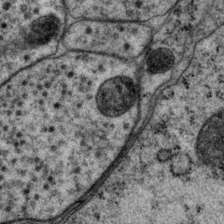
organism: P. pacificus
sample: Pharynx